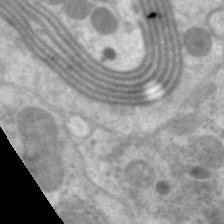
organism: C. elegans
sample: Pharynx